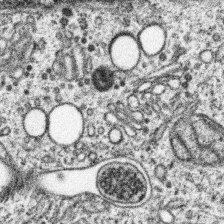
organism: Human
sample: HeLa cells